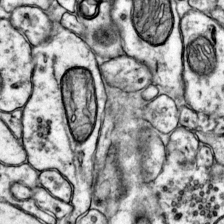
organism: Mouse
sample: Primary visual cortex